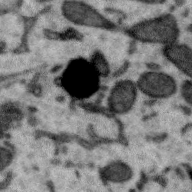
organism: Zebra finch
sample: Brain